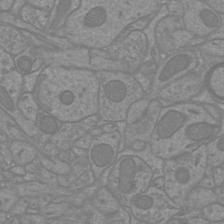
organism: Mouse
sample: Cortical neurons